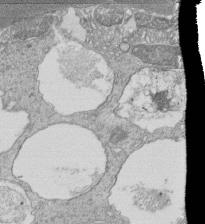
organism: Tetrahymena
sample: Cilia in tetrahymena